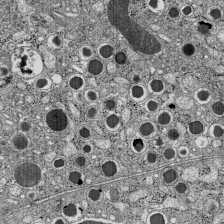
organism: C57BL Mouse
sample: Pancreatic islet